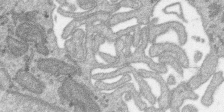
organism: Human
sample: Lung epithelial cells infected with SARS-CoV-2